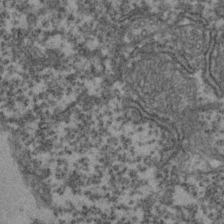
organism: Zebrafish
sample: Zebrafish embryo